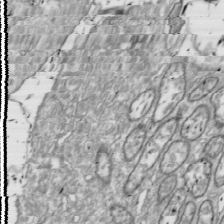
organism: Drosophila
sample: Cell division; meiosis; drosophila spermatocytes